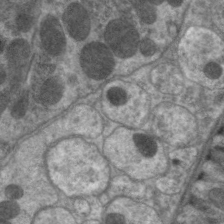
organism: C. elegans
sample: Pharynx